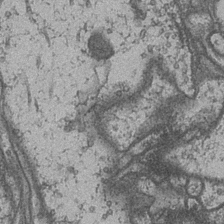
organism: Drosophila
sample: Optic medulla